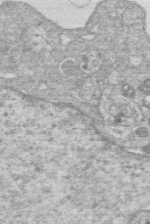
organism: Human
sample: Macrophage cells